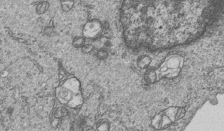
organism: Human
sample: MDA-MB-231 cells